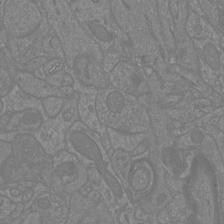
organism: Mouse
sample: Cortical neurons